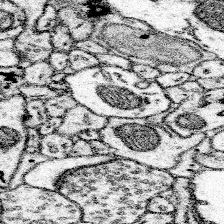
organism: Mouse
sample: Somatosensory cortex neuropil